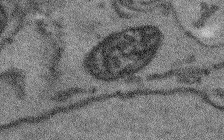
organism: Arabidopsis thaliana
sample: Root tip